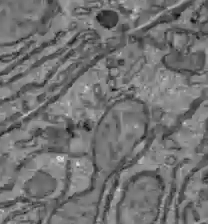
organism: C57BL Mouse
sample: Liver